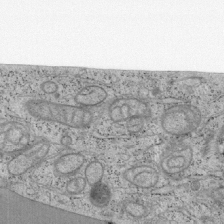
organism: Human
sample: HeLa cells